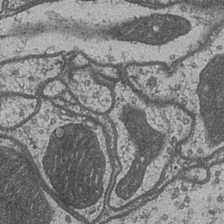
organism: Drosophila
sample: Optic medulla